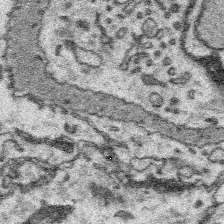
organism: Platynereis dumerilii